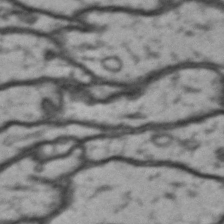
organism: Drosophila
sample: Brain